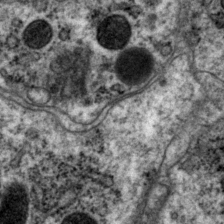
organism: P. pacificus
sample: Pharynx